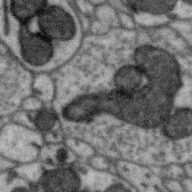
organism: Zebra finch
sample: Brain